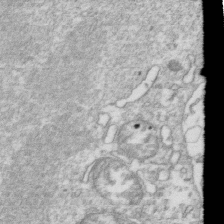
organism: Mouse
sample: Activated OT-1 CD8+ T cells